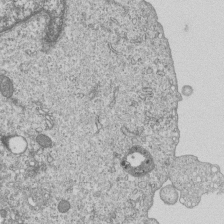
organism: Human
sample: MDA-MB-231 cells